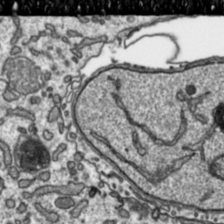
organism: Toxoplasma gondii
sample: Parasites in a vacuole inside a host cell